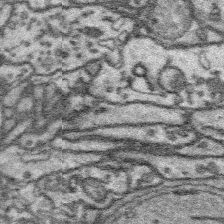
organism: Platynereis dumerilii